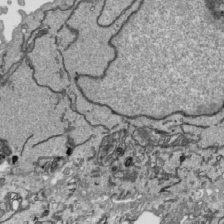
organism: Human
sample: Mitochondria in HCT116 cells